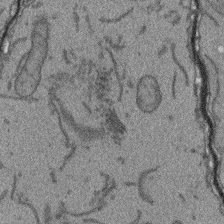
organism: Arabidopsis thaliana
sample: Root tip